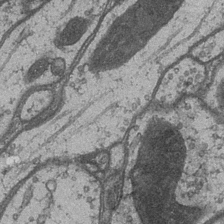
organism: Drosophila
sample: Optic medulla